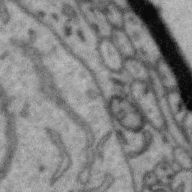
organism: Zebra finch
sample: Brain